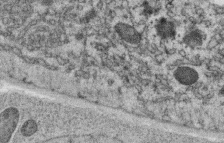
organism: C. elegans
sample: C. elegans oocyte; sperm cells